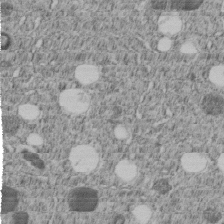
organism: C. elegans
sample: C. elegans embryo early stage